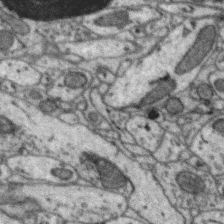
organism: Zebra finch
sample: Brain